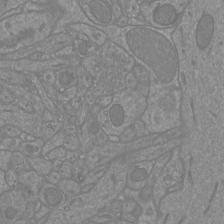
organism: Mouse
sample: Cortical neurons